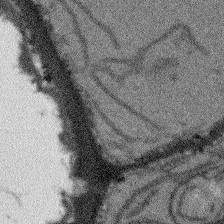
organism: Arabidopsis thaliana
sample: Root tip